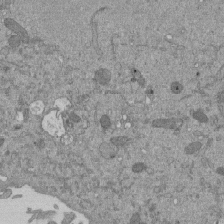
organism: Mouse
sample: ED-1 cell nuclei; centrioles